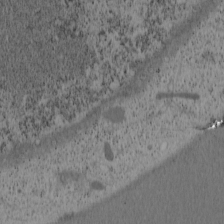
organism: African green monkey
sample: COS-7 cells